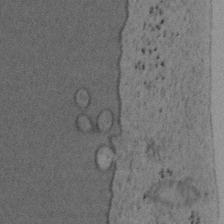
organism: Human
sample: HeLa cells